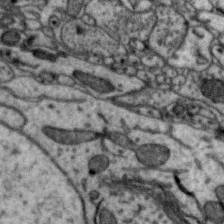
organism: Zebra finch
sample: Brain